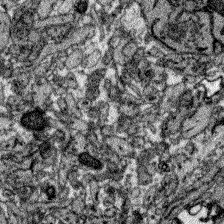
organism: Zebrafish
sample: Larval olfactory bulb